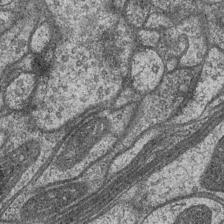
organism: Drosophila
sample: Optic medulla